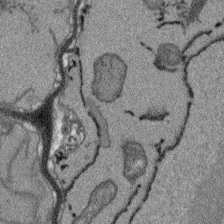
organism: Arabidopsis thaliana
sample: Root tip